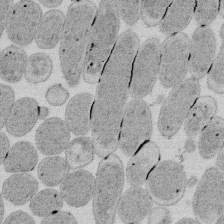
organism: E. coli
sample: Bacterial nucleoid